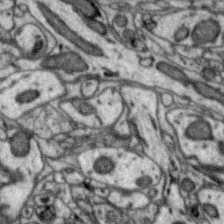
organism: Zebra finch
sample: Brain